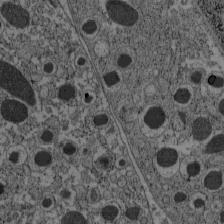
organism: C57BL Mouse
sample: Pancreatic islet